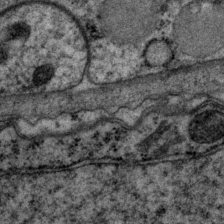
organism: P. pacificus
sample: Pharynx